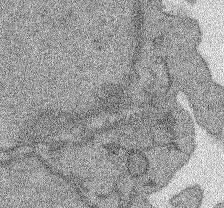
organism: Human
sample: HeLa cells